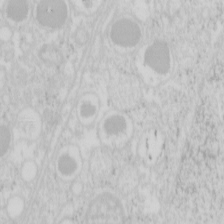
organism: Mouse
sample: Pancreas